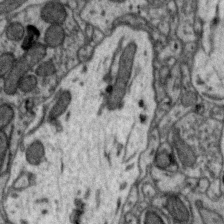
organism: Zebra finch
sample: Brain